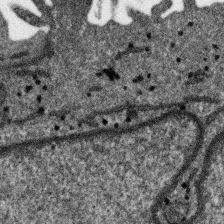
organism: Human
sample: Lung epithelial cells infected with SARS-CoV-2